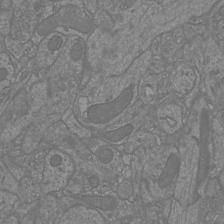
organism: Mouse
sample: Cortical neurons